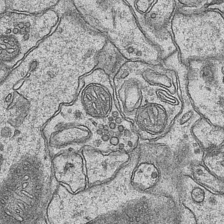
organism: Mouse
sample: CA1 Hippocampus